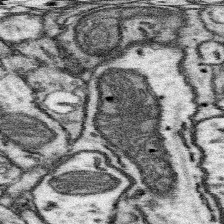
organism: Mouse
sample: Somatosensory cortex neuropil